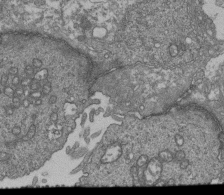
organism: Human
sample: Retinal organoid Rod and Cone cells